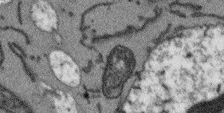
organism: Arabidopsis thaliana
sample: Root tip